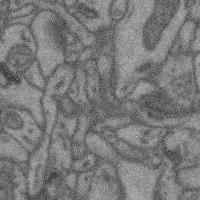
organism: Mouse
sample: Cerebral cortex